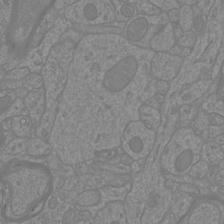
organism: Mouse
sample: Cortical neurons